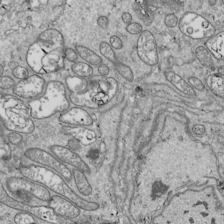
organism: Drosophila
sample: Cell division; meiosis; drosophila spermatocytes